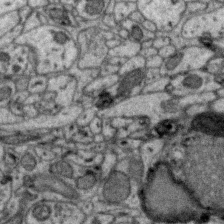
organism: Zebra finch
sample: Brain